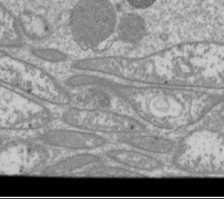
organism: Drosophila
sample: Cell division; meiosis; drosophila spermatocytes